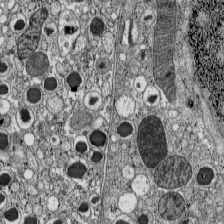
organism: C57BL Mouse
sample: Pancreatic islet